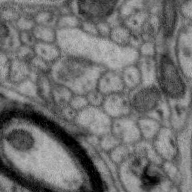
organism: Zebra finch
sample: Brain